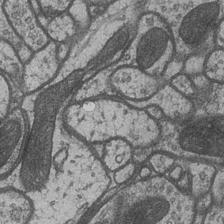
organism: Drosophila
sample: Optic medulla